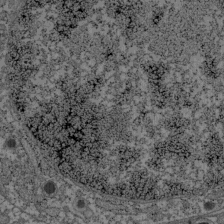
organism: C57BL Mouse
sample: Pancreatic islet